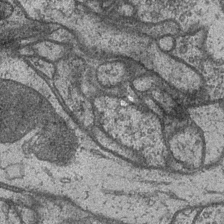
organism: Drosophila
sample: Optic medulla